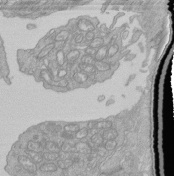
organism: Human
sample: Retinal organoid Rod and Cone cells